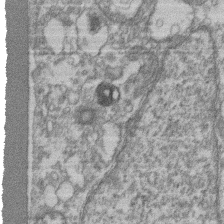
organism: Mouse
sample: T cell stromal cell synapse